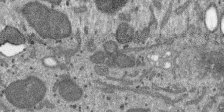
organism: Human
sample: Lung epithelial cells infected with SARS-CoV-2